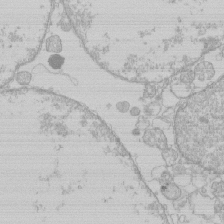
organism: Human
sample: Macrophage cells